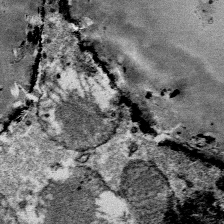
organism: Mouse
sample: Mouse Salivary gland